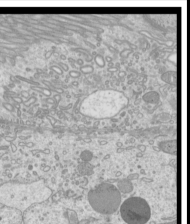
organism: Mouse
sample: Cilia; mouse epididymis